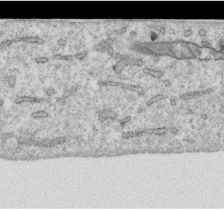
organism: Human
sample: Centriole in RPE cells